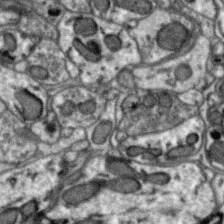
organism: Zebra finch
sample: Brain